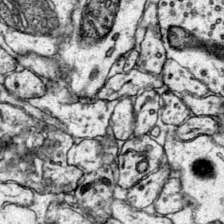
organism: Mouse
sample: Primary visual cortex